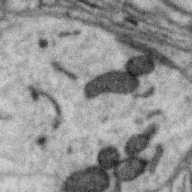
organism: Zebra finch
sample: Brain